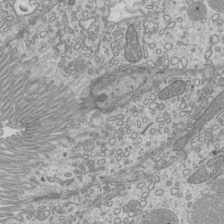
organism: Mouse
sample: Cilia; mouse epididymis